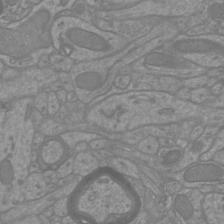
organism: Mouse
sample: Cortical neurons